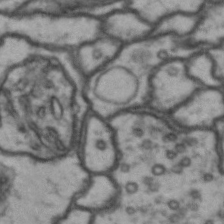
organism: Drosophila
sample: Brain